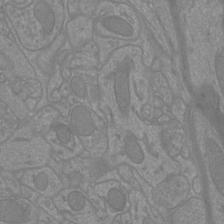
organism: Mouse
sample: Cortical neurons